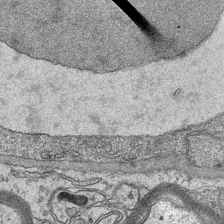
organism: Mouse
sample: CA1 Hippocampus